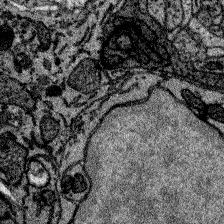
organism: Zebrafish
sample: Larval olfactory bulb